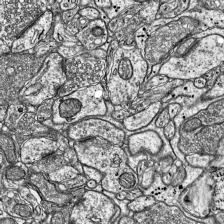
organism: Mouse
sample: Visual Cortex